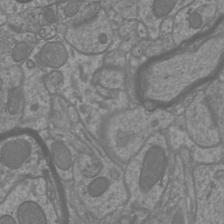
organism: Mouse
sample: Cortical neurons